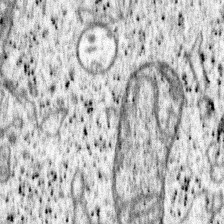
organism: Human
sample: HeLa cells